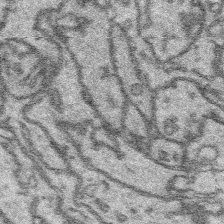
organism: Platynereis dumerilii